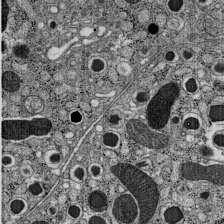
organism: C57BL Mouse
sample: Pancreatic islet